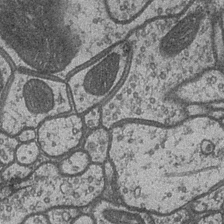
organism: Drosophila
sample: Optic medulla